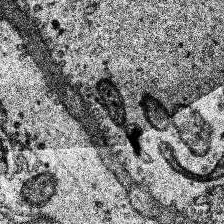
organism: Human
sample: Temporal Lobe